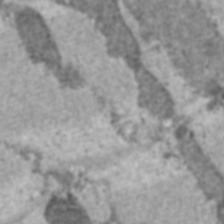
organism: C57BL Mouse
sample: Heart